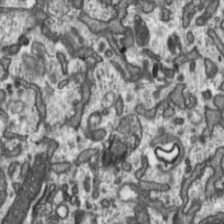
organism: Toxoplasma gondii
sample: Parasites in a vacuole inside a host cell